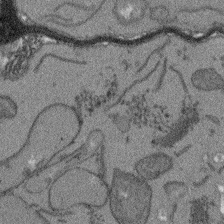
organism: Arabidopsis thaliana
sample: Root tip